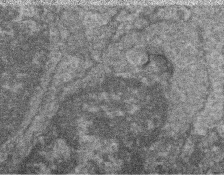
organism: Zebrafish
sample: Cilia; retinal pigment epithelium